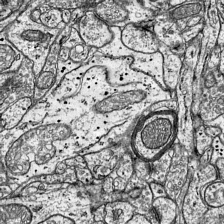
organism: Mouse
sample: Visual Cortex